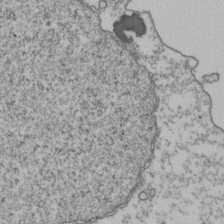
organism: Human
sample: Activated Jurkat CD4+ T cells